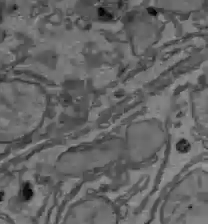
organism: C57BL Mouse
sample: Liver